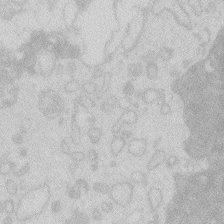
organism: Zebrafish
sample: Macrophage